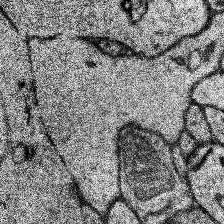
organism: Human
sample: Temporal Lobe